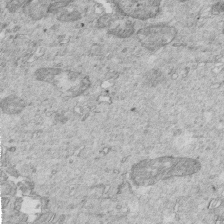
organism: Mouse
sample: Multiciliated cells